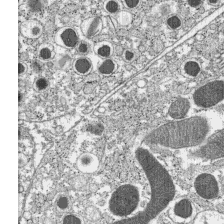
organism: C57BL Mouse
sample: Pancreatic islet